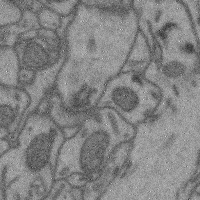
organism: Mouse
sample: Cerebral cortex